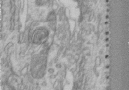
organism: Human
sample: Centriole in RPE cells